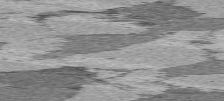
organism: C57BL Mouse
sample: Heart